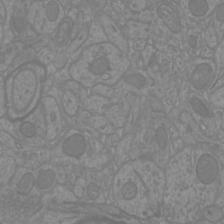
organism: Mouse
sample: Cortical neurons